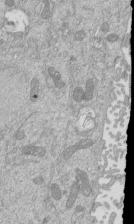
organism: Mouse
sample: ED-1 cell nuclei; centrioles